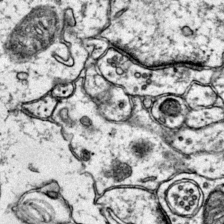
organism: Mouse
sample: Primary visual cortex